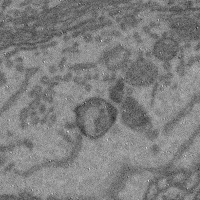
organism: Mouse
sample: Cerebral cortex